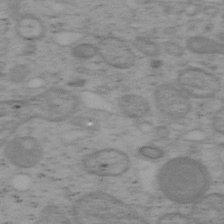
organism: Mouse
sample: OT-I killer T cells with ID8 ovarian cancer cells